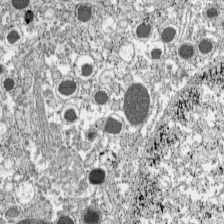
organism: C57BL Mouse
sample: Pancreatic islet